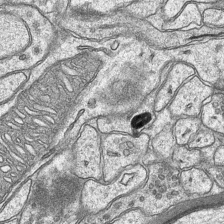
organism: Mouse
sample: CA1 Hippocampus